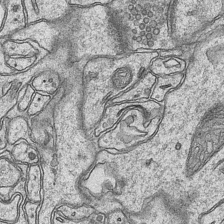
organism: Mouse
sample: CA1 Hippocampus